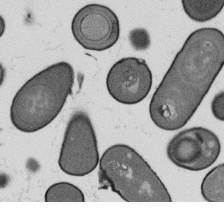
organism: B. subtilis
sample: Bacterial spore